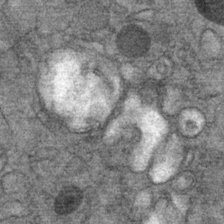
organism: Mouse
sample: Mouse Salivary gland